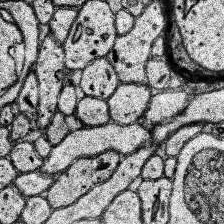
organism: Human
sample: Temporal Lobe